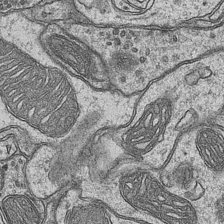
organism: Mouse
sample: CA1 Hippocampus